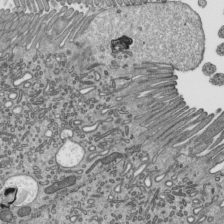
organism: Mouse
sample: Mouse epididymis efferent ductule cilia